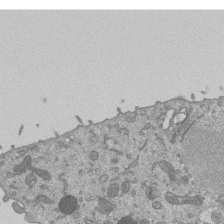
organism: Mouse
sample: ED-1 cell nuclei; centrioles